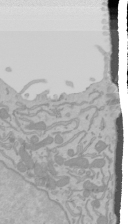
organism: Mouse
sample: Cancer cell death in ED-1 cells